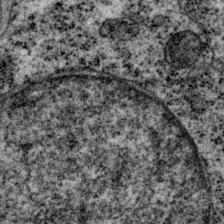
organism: P. pacificus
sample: Pharynx